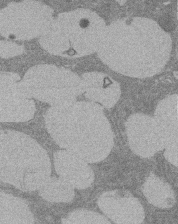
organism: Rat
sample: Salivary granule